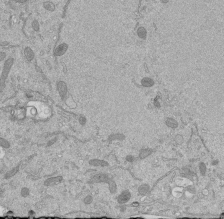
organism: Mouse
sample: ED-1 cell nuclei; centrioles